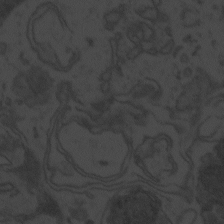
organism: Zebrafish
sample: Macrophage infected with Toxoplasma gondii